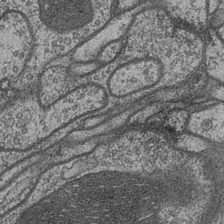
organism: Drosophila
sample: Optic medulla